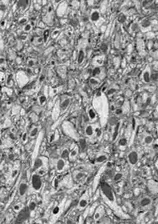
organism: Drosophila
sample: Optic lobe